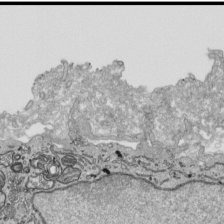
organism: Human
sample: Mitochondria in HCT116 cells